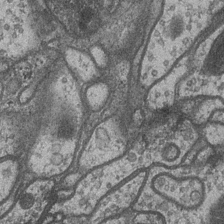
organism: Drosophila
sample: Optic medulla